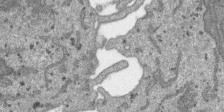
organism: Human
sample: Lung epithelial cells infected with SARS-CoV-2